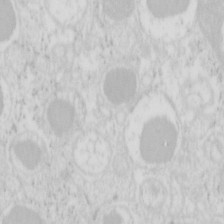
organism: Mouse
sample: Pancreas